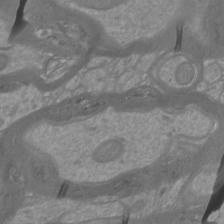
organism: Mouse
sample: Cortical neurons